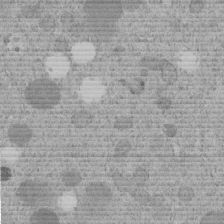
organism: C. elegans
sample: C. elegans embryo early stage